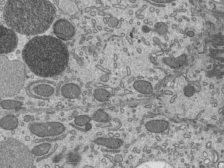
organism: Mouse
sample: Mouse epididymis efferent ductule cilia